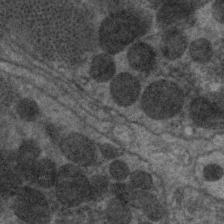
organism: C. elegans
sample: Pharynx